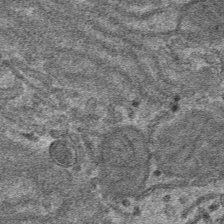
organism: Mouse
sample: Mouse hepatocytes